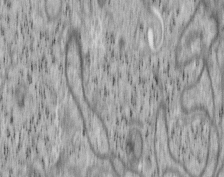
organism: Human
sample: HeLa cells